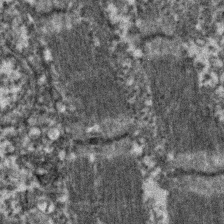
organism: Zebrafish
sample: Zebrafish embryo